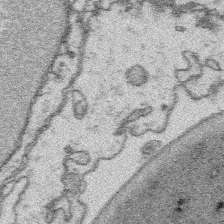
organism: Platynereis dumerilii